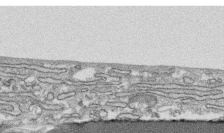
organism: Human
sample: CRL-1474